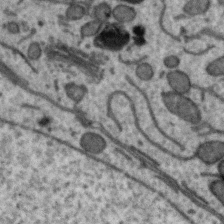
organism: Zebra finch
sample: Brain